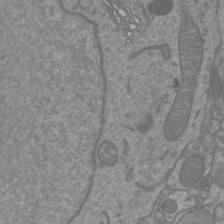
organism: Mouse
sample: Cortical neurons